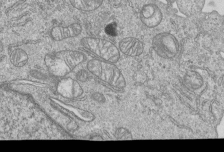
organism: Human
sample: MDA-MB-231 cells